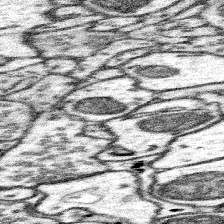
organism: Mouse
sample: Somatosensory cortex neuropil